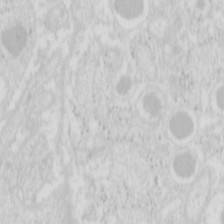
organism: Mouse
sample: Pancreas